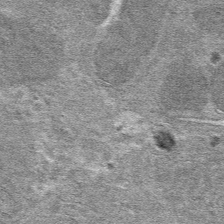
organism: Mouse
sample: Mouse hepatocytes